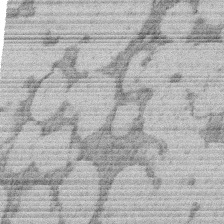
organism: Rat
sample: Salivary granule